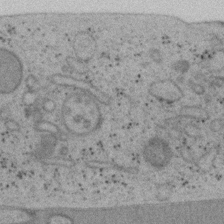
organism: Human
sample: HeLa cells